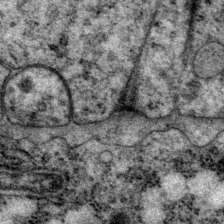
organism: P. pacificus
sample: Pharynx